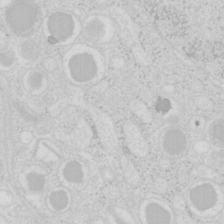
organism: Mouse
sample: Pancreas